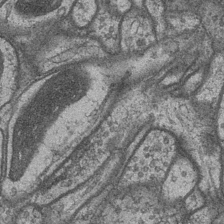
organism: Drosophila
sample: Optic medulla